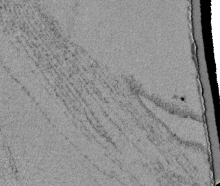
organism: Tetrahymena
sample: Cilia in tetrahymena